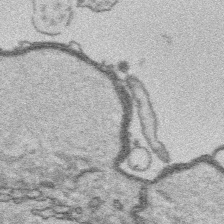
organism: Platynereis dumerilii